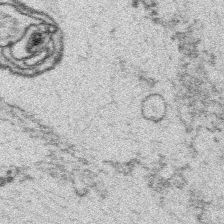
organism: Platynereis dumerilii